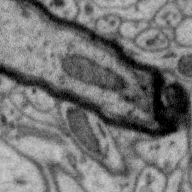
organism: Zebra finch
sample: Brain